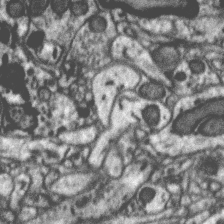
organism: Zebra finch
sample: Brain